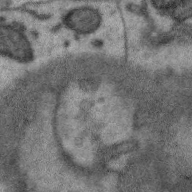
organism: Zebra finch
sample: Brain